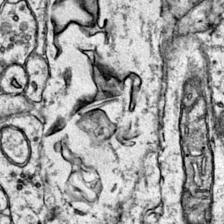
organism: Mouse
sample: Primary visual cortex